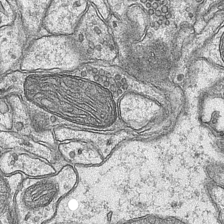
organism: Mouse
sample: CA1 Hippocampus